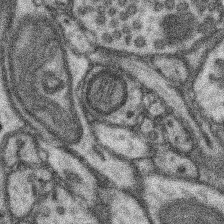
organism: Mouse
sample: Somatosensory cortex neuropil